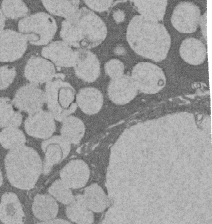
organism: Rat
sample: Salivary granule